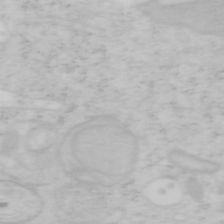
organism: Mouse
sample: OT-I killer T cells with ID8 ovarian cancer cells